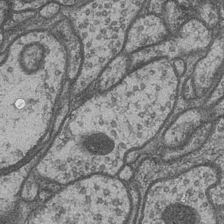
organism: Drosophila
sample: Optic medulla